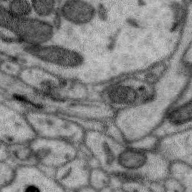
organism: Zebra finch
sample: Brain